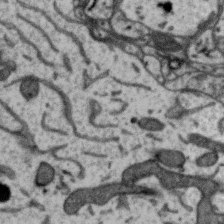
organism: Zebra finch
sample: Brain